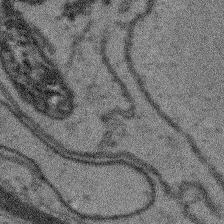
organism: Arabidopsis thaliana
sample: Root tip